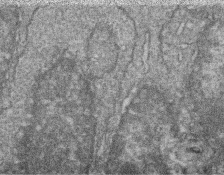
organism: Zebrafish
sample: Cilia; retinal pigment epithelium